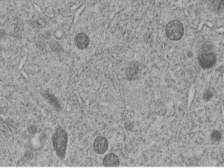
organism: C. elegans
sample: C. elegans embryo early stage